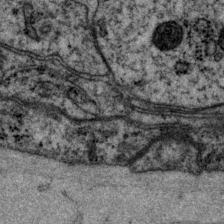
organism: P. pacificus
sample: Pharynx